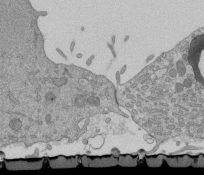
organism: Mouse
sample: ED-1 cell nuclei; centrioles